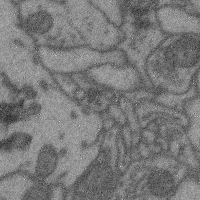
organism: Mouse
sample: Cerebral cortex